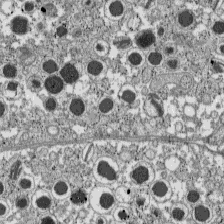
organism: C57BL Mouse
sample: Pancreatic islet